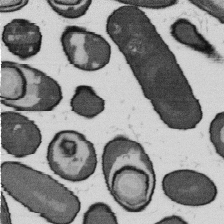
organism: B. subtilis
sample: Bacterial spore